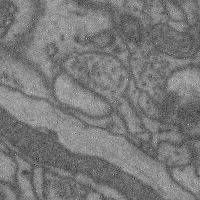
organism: Mouse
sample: Cerebral cortex